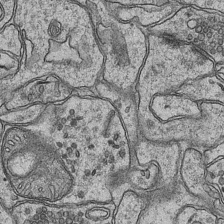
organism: Mouse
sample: CA1 Hippocampus